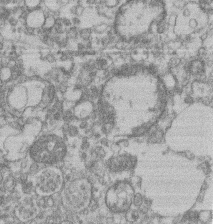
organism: Mouse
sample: T cell stromal cell synapse